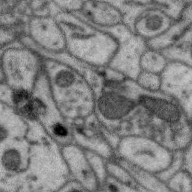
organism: Zebra finch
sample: Brain